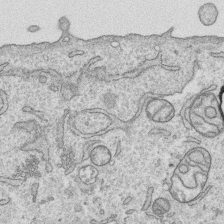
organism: Human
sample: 1205lu cells